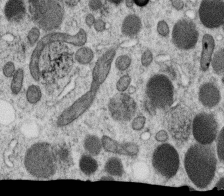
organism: C. elegans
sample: C. elegans oocyte; sperm cells